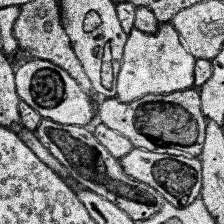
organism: Human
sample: Temporal Lobe